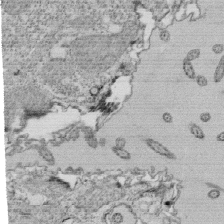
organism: Tetrahymena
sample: Cilia in tetrahymena